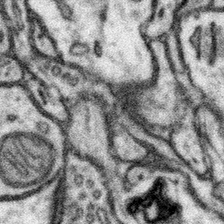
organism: Mouse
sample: Somatosensory cortex neuropil